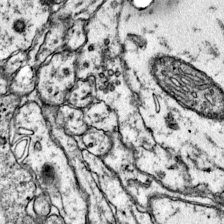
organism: Mouse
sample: Primary visual cortex